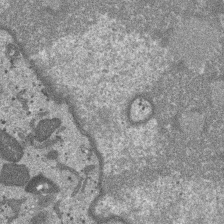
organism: Human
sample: Lung epithelial cells infected with SARS-CoV-2